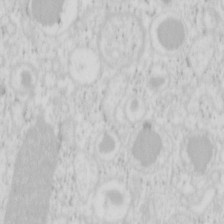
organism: Mouse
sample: Pancreas